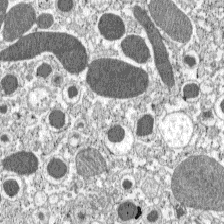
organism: C57BL Mouse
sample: Pancreatic islet